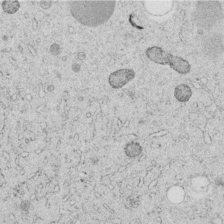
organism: C. elegans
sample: C. elegans embryo early stage